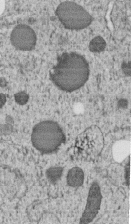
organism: C. elegans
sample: C. elegans embryo early stage